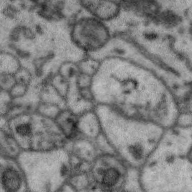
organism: Zebra finch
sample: Brain